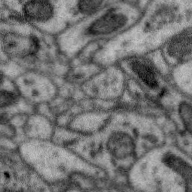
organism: Zebra finch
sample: Brain